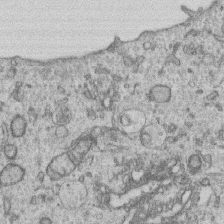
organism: Human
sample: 1205lu cells